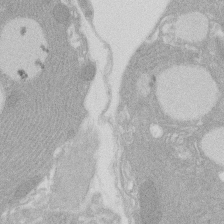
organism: Rat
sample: Salivary granule